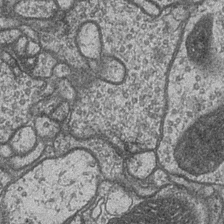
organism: Drosophila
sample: Optic medulla